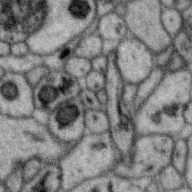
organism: Zebra finch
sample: Brain